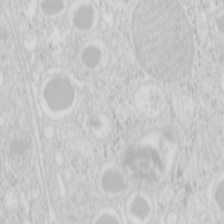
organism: Mouse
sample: Pancreas